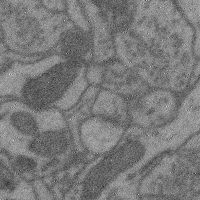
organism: Mouse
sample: Cerebral cortex